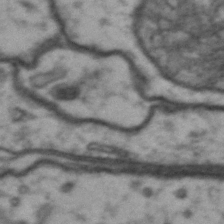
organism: Drosophila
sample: Brain